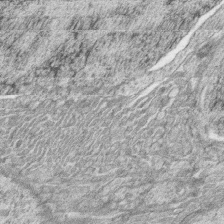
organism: Zebrafish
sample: synaptic ribbons in rod cells and cone cells